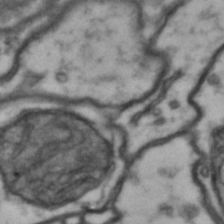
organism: Drosophila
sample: Brain